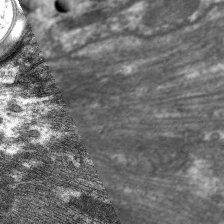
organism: C. elegans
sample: Pharynx